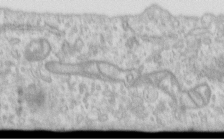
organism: Human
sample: Centriole in RPE cells